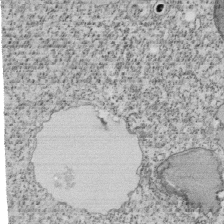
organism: Tetrahymena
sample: Cilia in tetrahymena